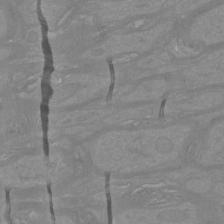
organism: Mouse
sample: Cortical neurons